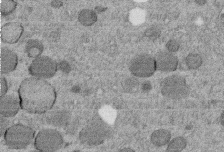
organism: C. elegans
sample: C. elegans embryo early stage